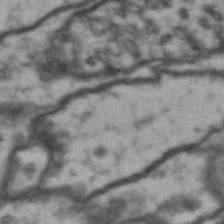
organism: Drosophila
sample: Brain